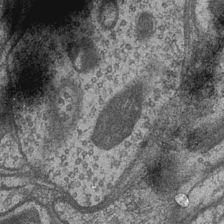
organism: Drosophila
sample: Optic medulla